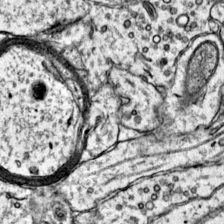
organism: Mouse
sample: Primary visual cortex